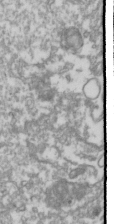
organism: Drosophila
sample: Cell division; meiosis; drosophila spermatocytes